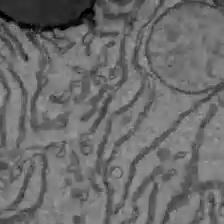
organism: C57BL Mouse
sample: Liver